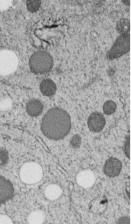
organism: C. elegans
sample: C. elegans embryo early stage